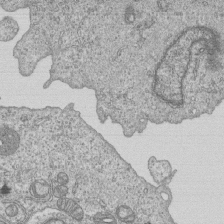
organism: Human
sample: MDA-MB-231 cells